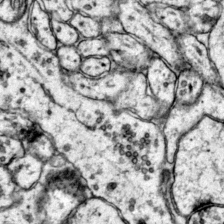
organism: Mouse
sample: Primary visual cortex